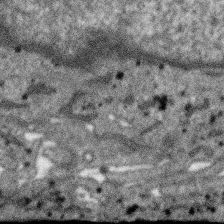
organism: Human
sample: Lung epithelial cells infected with SARS-CoV-2